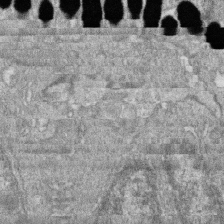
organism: Zebrafish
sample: Cilia; retinal pigment epithelium